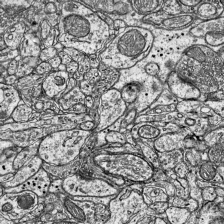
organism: Mouse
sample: Visual Cortex